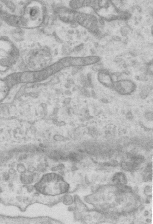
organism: Mouse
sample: Centriole in ependymal cells